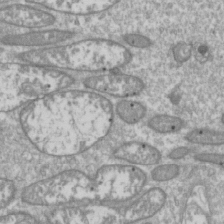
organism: Drosophila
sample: Cell division; meiosis; drosophila spermatocytes